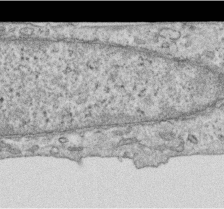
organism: Human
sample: Centriole in RPE cells